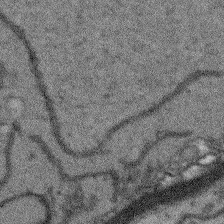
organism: Arabidopsis thaliana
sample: Root tip